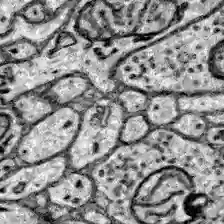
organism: Zebrafish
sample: Brain